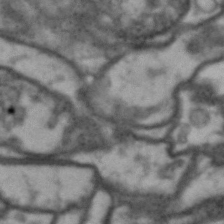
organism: Drosophila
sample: Brain